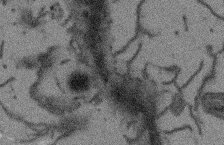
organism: Arabidopsis thaliana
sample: Root tip